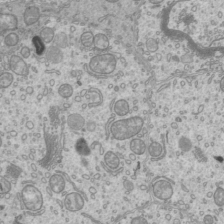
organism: Mouse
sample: Cilia; mouse epididymis